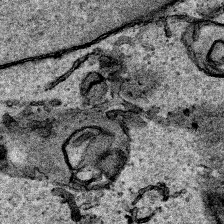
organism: Human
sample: Mitochondria in HCT116 cells